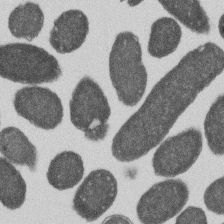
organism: E. coli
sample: Bacterial nucleoid